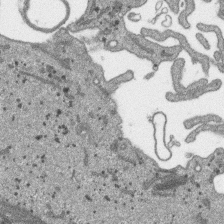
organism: Human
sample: Lung epithelial cells infected with SARS-CoV-2